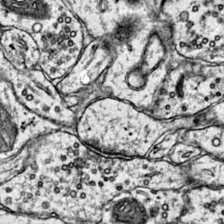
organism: Mouse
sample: Primary visual cortex